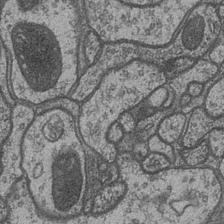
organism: Drosophila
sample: Optic medulla